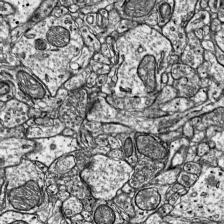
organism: Mouse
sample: Visual Cortex